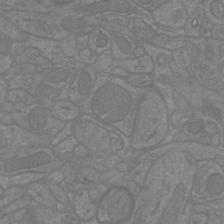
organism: Mouse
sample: Cortical neurons